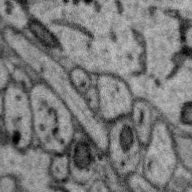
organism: Zebra finch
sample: Brain